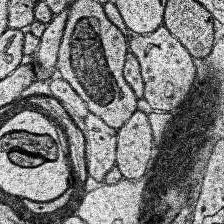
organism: Human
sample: Temporal Lobe